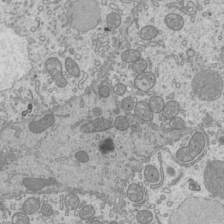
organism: Mouse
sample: Cilia; mouse epididymis